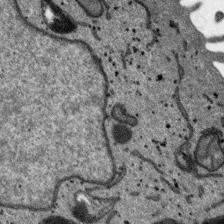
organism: Human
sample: Lung epithelial cells, uninfected (mock) control